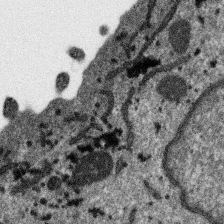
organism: Human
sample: Lung epithelial cells infected with SARS-CoV-2